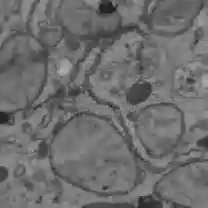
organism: C57BL Mouse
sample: Liver